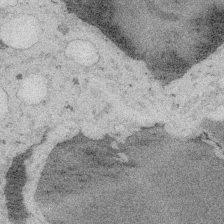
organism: Embia sp.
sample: Silk gland